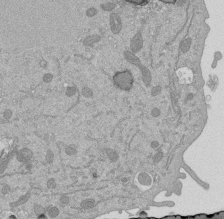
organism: Mouse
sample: ED-1 cell nuclei; centrioles